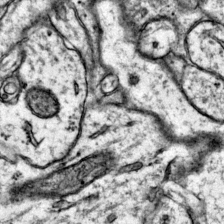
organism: Mouse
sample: Primary visual cortex